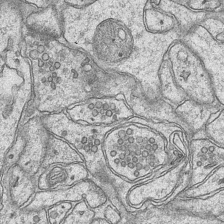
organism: Mouse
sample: CA1 Hippocampus